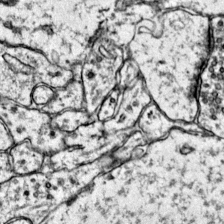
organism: Mouse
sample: Primary visual cortex